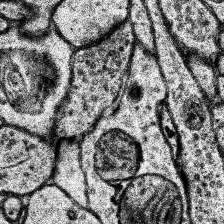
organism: Human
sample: Temporal Lobe